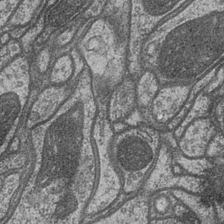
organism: Drosophila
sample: Optic medulla